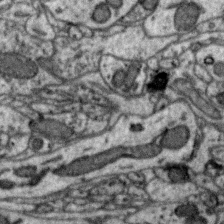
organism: Zebra finch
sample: Brain